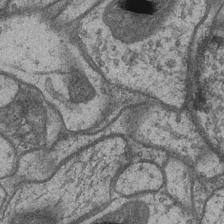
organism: Drosophila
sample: Optic medulla